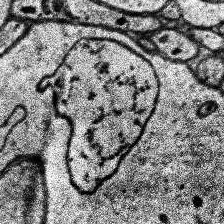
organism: Human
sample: Temporal Lobe